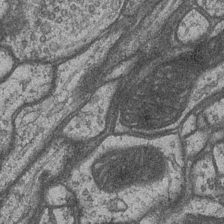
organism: Drosophila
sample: Optic medulla